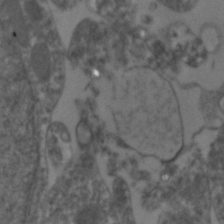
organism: Zebrafish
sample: Zebrafish embryo